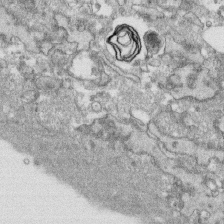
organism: Human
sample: CRL-1474